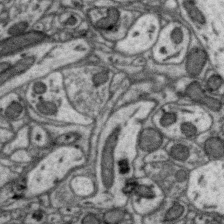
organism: Zebra finch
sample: Brain